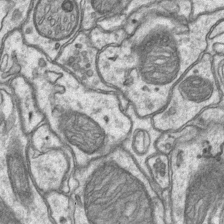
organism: Mouse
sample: CA1 Hippocampus